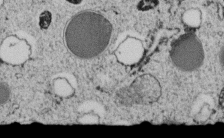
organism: C. elegans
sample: C. elegans embryo early stage